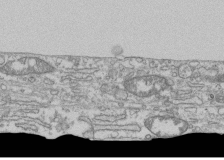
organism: Human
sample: Fibroblast cells